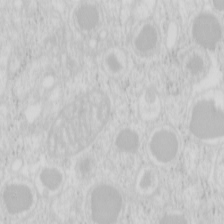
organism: Mouse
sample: Pancreas